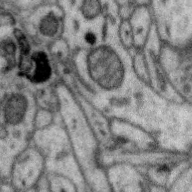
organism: Zebra finch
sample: Brain